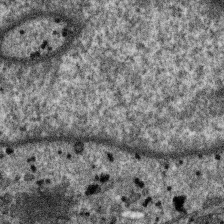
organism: Human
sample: Lung epithelial cells infected with SARS-CoV-2